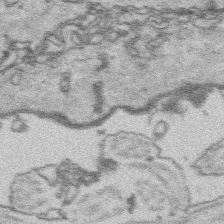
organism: Platynereis dumerilii